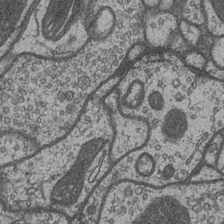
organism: Drosophila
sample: Optic medulla